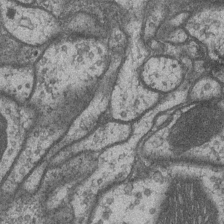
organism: Drosophila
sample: Optic medulla